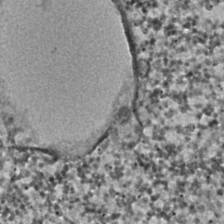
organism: C. elegans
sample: C. elegans embryo